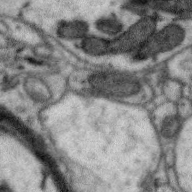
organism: Zebra finch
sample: Brain